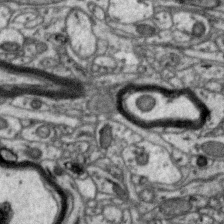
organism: Zebra finch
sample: Brain